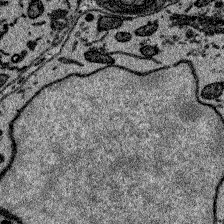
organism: Zebrafish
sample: Larval olfactory bulb